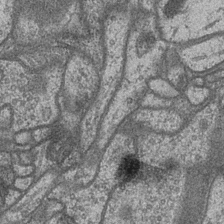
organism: Drosophila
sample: Optic medulla